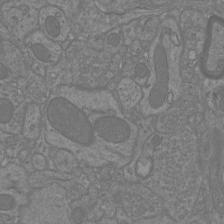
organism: Mouse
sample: Cortical neurons